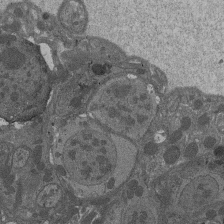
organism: Drosophila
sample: Antenna